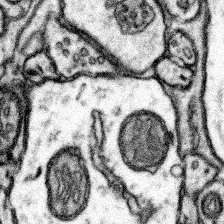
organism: Mouse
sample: Somatosensory cortex neuropil